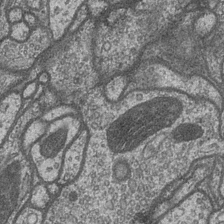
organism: Drosophila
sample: Optic medulla